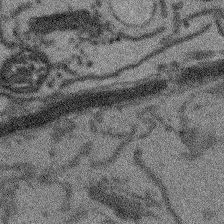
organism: Arabidopsis thaliana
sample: Root tip